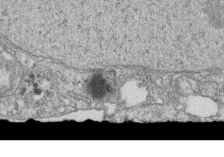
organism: Human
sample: HeLa cell HIV synapse